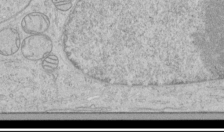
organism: Human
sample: Mitochondria in HCT116 cells